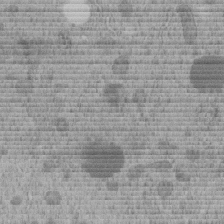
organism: C. elegans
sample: C. elegans embryo early stage